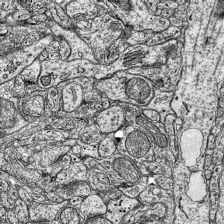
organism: Mouse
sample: Visual Cortex